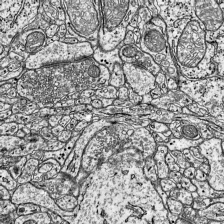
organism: Mouse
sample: Visual Cortex